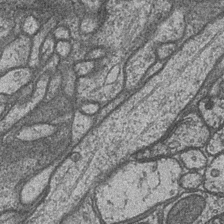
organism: Drosophila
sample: Optic medulla